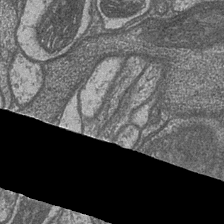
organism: Drosophila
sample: Optic medulla